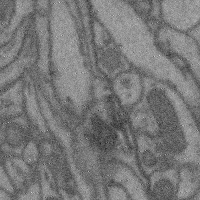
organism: Mouse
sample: Cerebral cortex